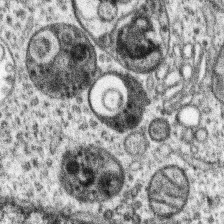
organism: Human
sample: HeLa cells